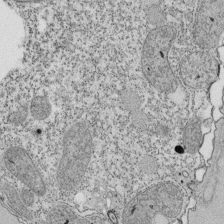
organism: Tetrahymena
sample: Cilia in tetrahymena